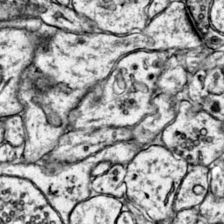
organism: Mouse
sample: Primary visual cortex